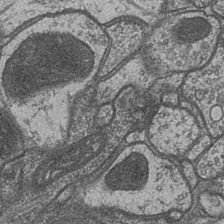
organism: Drosophila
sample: Optic medulla